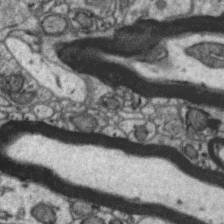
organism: Zebra finch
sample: Brain